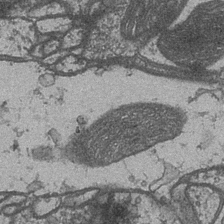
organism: Drosophila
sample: Optic medulla